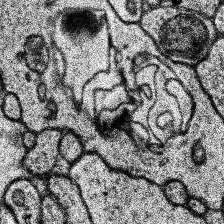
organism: Human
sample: Temporal Lobe